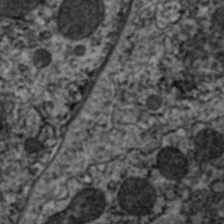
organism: C. elegans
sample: Pharynx